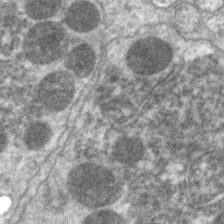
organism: C. elegans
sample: Pharynx